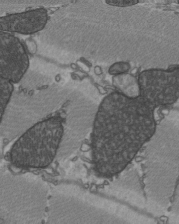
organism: C57BL Mouse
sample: Heart